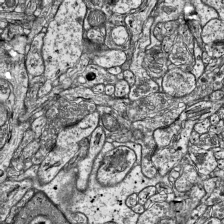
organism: Mouse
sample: Visual Cortex